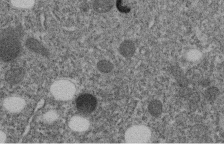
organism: C. elegans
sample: C. elegans embryo early stage